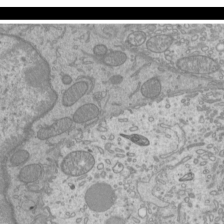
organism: Mouse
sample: Cilia; mouse epididymis